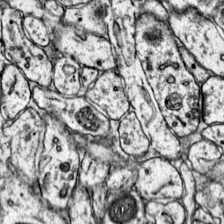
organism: Mouse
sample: Primary visual cortex